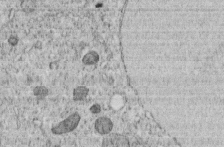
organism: C. elegans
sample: C. elegans embryo early stage